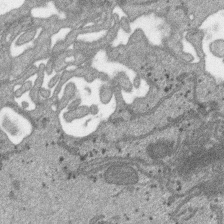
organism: Human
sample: Lung epithelial cells infected with SARS-CoV-2